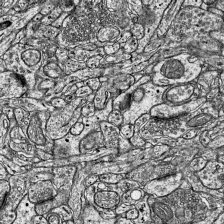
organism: Mouse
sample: Visual Cortex